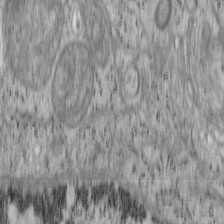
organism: Human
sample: HeLa cells